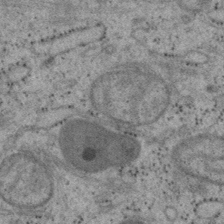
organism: Human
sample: HeLa cells